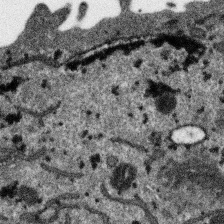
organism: Human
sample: Lung epithelial cells infected with SARS-CoV-2